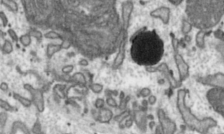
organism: Toxoplasma gondii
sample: Parasites in a vacuole inside a host cell